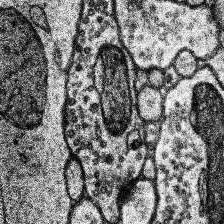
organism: Human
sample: Temporal Lobe